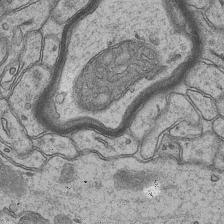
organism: Mouse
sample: CA1 Hippocampus